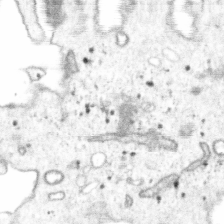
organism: Human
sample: HeLa cells